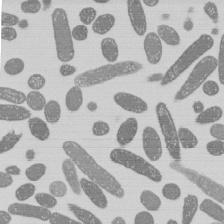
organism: E. coli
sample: Bacterial nucleoid